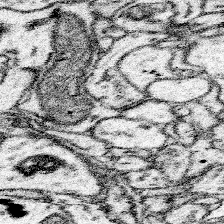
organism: Mouse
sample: Somatosensory cortex neuropil